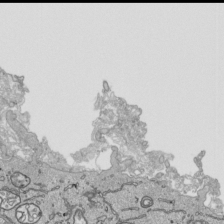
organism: Human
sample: Mitochondria in HCT116 cells